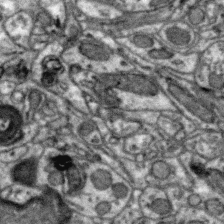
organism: Zebra finch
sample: Brain